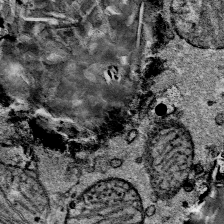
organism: Mouse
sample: Mouse Salivary gland